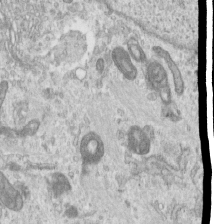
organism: Human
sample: Centriole in RPE cells